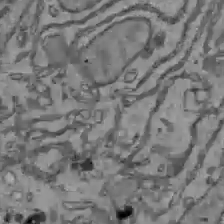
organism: C57BL Mouse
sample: Liver